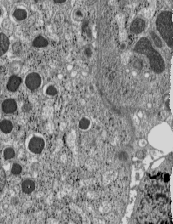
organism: C57BL Mouse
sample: Pancreatic islet